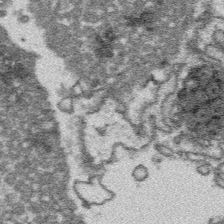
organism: Platynereis dumerilii